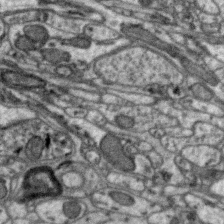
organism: Zebra finch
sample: Brain